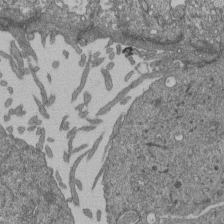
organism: Human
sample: Retinal organoid Rod and Cone cells